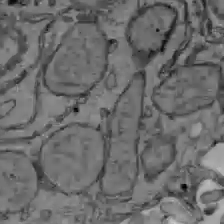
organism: C57BL Mouse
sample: Liver